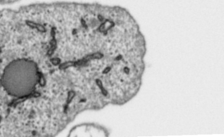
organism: Toxoplasma gondii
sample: Parasites in a vacuole inside a host cell